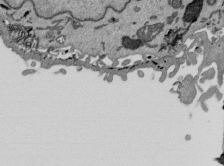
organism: Mouse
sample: ED-1 cell nuclei; centrioles